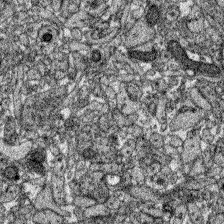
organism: Zebrafish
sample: Larval olfactory bulb